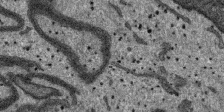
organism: Human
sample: Lung epithelial cells, uninfected (mock) control